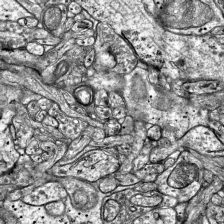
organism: Mouse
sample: Visual Cortex